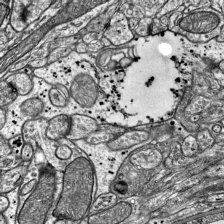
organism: Mouse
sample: Visual Cortex